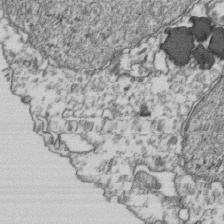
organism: Human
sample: Activated Jurkat CD4+ T cells